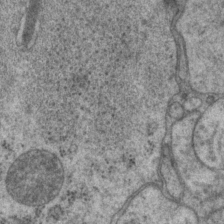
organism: P. pacificus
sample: Pharynx